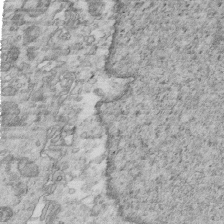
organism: Mouse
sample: Multiciliated cells